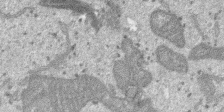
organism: Human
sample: Lung epithelial cells infected with SARS-CoV-2